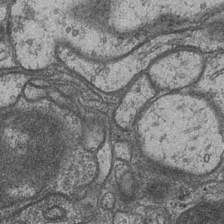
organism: Drosophila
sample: Optic medulla